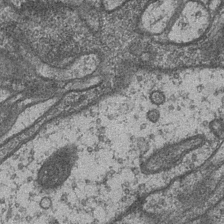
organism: Drosophila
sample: Optic medulla